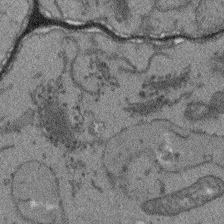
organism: Arabidopsis thaliana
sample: Root tip